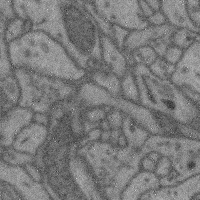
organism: Mouse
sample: Cerebral cortex